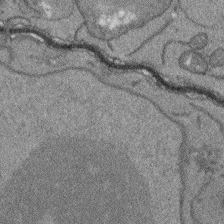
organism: Arabidopsis thaliana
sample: Root tip